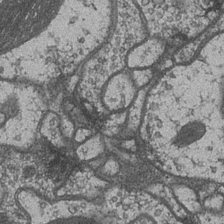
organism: Drosophila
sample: Optic medulla